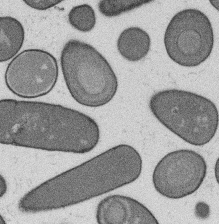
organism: B. subtilis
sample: Bacterial spore